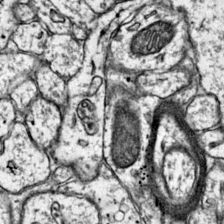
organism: Mouse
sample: Primary visual cortex